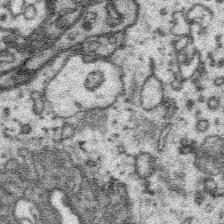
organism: Platynereis dumerilii